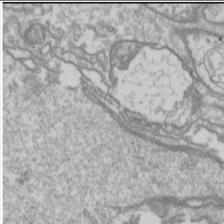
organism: Drosophila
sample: Cell division; meiosis; drosophila spermatocytes